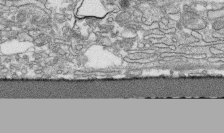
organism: Human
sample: CRL-1474